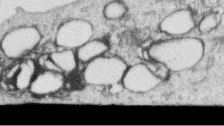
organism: Human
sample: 1205lu cells